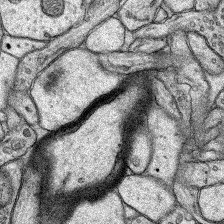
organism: Rat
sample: Hippocampus